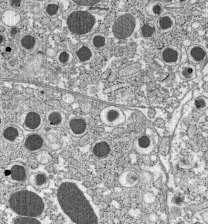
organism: C57BL Mouse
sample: Pancreatic islet